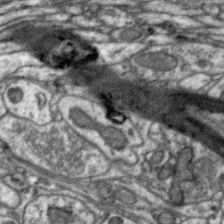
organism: Zebra finch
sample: Brain